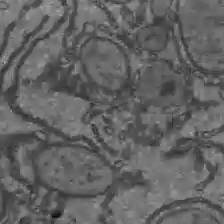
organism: C57BL Mouse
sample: Liver